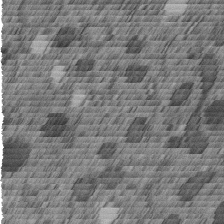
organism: C. elegans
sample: C. elegans embryo early stage